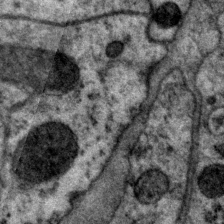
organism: P. pacificus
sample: Pharynx